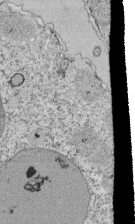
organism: Tetrahymena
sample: Cilia in tetrahymena